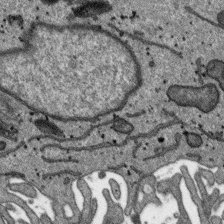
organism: Human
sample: Lung epithelial cells, uninfected (mock) control